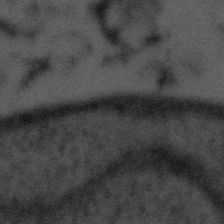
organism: Tuwongella immobilis